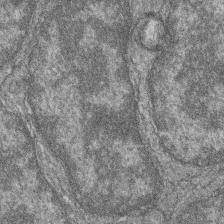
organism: Zebrafish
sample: Cilia; retinal pigment epithelium